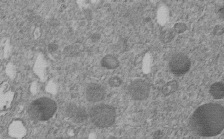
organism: C. elegans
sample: C. elegans embryo early stage